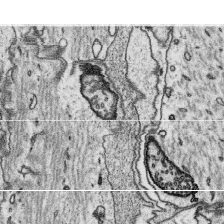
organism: Platynereis dumerilii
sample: Parapodia